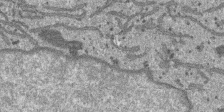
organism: Human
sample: Lung epithelial cells infected with SARS-CoV-2